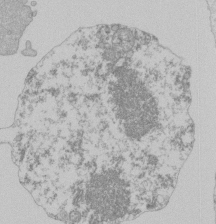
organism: Mouse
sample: Activated Pmel transgenic CD8+ T Cells